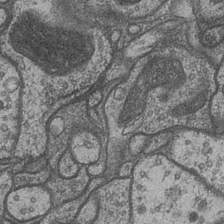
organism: Drosophila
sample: Optic medulla